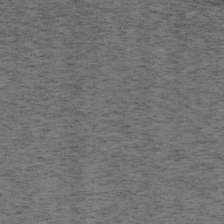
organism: Mouse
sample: OT-I killer T cells with ID8 ovarian cancer cells